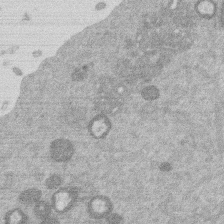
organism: Mouse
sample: Dividing mouse embryo 1 cell stage